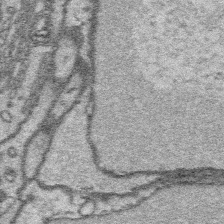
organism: Platynereis dumerilii